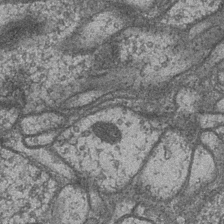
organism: Drosophila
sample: Optic medulla